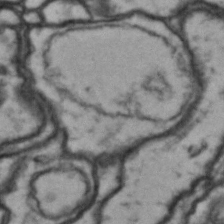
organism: Drosophila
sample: Brain